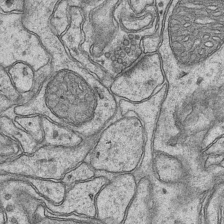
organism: Mouse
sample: CA1 Hippocampus